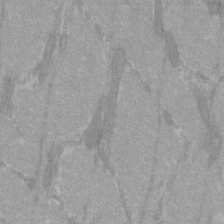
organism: C57BL Mouse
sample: Tibialis anterior muscle cell